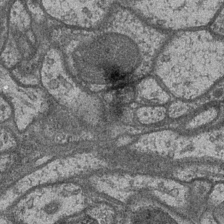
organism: Drosophila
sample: Optic medulla